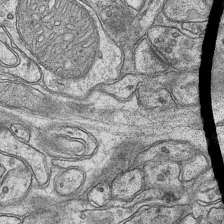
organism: Mouse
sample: CA1 Hippocampus